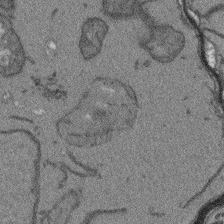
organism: Arabidopsis thaliana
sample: Root tip